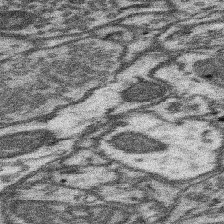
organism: Mouse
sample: Somatosensory cortex neuropil